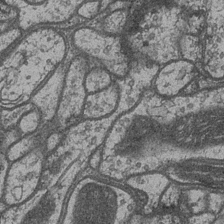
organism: Drosophila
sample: Optic medulla